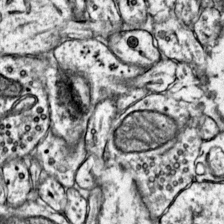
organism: Mouse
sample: Primary visual cortex